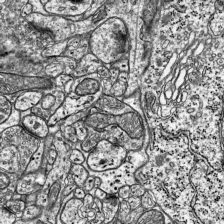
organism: Mouse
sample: Visual Cortex